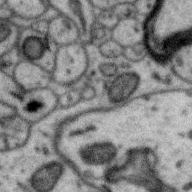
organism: Zebra finch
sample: Brain